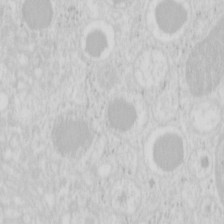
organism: Mouse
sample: Pancreas